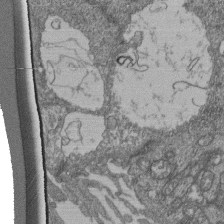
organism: Human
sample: Retinal organoid Rod and Cone cells